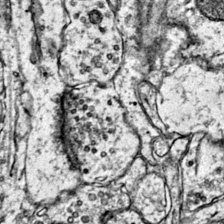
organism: Mouse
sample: Primary visual cortex